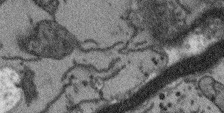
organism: Arabidopsis thaliana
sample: Root tip